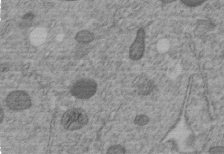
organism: C. elegans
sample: C. elegans embryo early stage